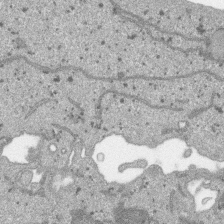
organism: Human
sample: Lung epithelial cells infected with SARS-CoV-2